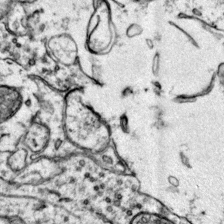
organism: Mouse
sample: Primary visual cortex